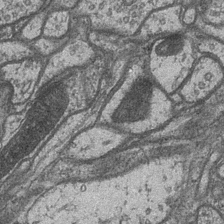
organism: Drosophila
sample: Optic medulla